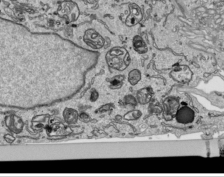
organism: Human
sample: Mitochondria in HCT116 cells